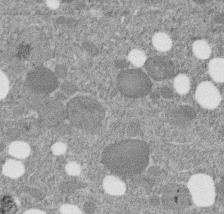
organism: C. elegans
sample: C. elegans embryo early stage